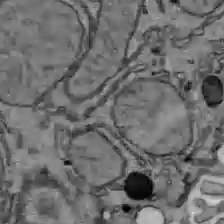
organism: C57BL Mouse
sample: Liver